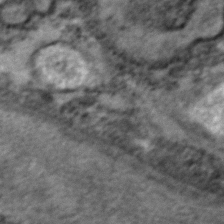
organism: Zebrafish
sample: Zebrafish embryo